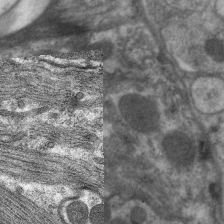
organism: C. elegans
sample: Pharynx